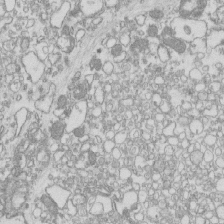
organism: Mouse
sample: Macrophages